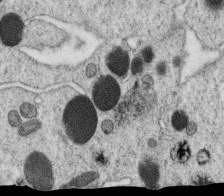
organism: C. elegans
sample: C. elegans oocyte; sperm cells